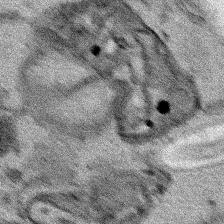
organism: Human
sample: Mitochondria in HCT116 cells